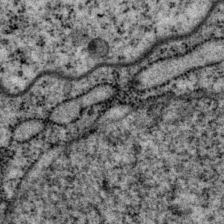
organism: P. pacificus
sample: Pharynx